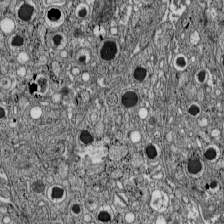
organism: C57BL Mouse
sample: Pancreatic islet